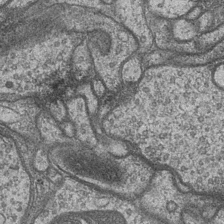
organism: Drosophila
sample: Optic medulla